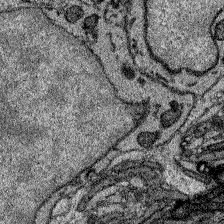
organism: Zebrafish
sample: Larval olfactory bulb